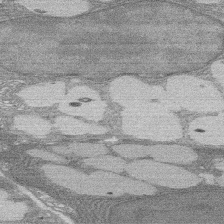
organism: Rat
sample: Salivary granule